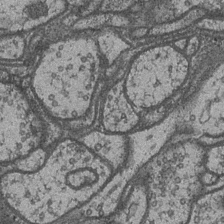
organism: Drosophila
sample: Optic medulla